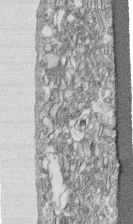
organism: Human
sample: CRL-1474